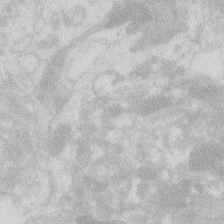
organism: Zebrafish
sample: Macrophage